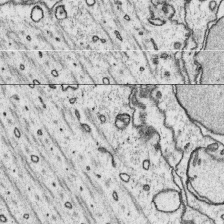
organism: Platynereis dumerilii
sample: Parapodia